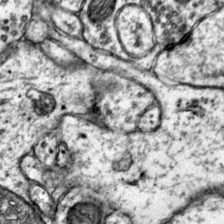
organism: Mouse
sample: Primary visual cortex